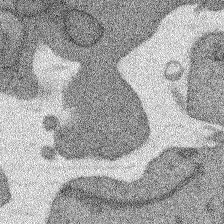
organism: Human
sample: HeLa cells